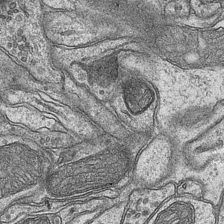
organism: Mouse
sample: CA1 Hippocampus